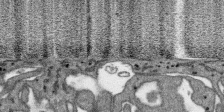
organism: Human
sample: Lung epithelial cells, uninfected (mock) control